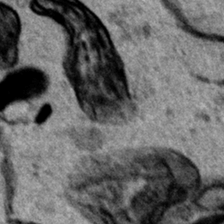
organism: Human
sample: Mitochondria in HCT116 cells